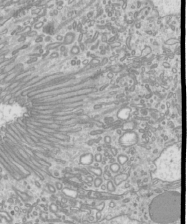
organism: Mouse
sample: Cilia; mouse epididymis